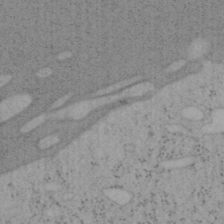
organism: Mouse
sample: OT-I killer T cells with ID8 ovarian cancer cells